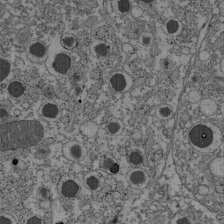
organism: C57BL Mouse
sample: Pancreatic islet